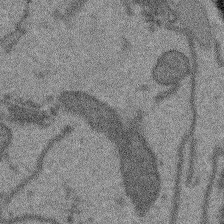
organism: Arabidopsis thaliana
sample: Root tip